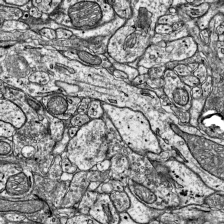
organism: Mouse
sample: Visual Cortex